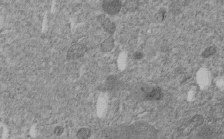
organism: C. elegans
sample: C. elegans embryo early stage